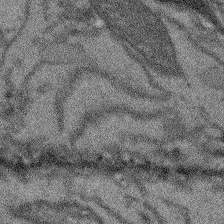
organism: Arabidopsis thaliana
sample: Root tip